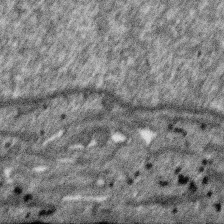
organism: Human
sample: Lung epithelial cells infected with SARS-CoV-2